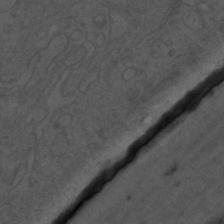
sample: Trachea